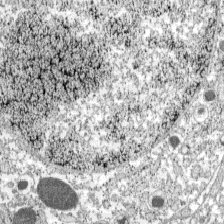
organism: C57BL Mouse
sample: Pancreatic islet